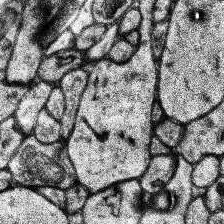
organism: Human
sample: Temporal Lobe